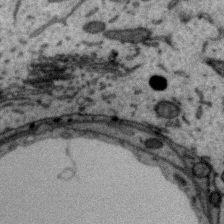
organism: Zebra finch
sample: Brain